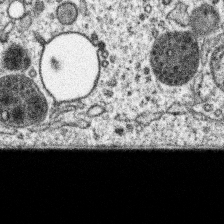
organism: Human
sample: HeLa cells